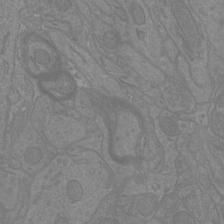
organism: Mouse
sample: Cortical neurons